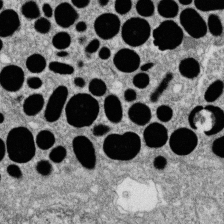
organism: Zebrafish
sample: Cilia; retinal pigment epithelium